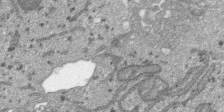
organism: Human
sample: Lung epithelial cells infected with SARS-CoV-2